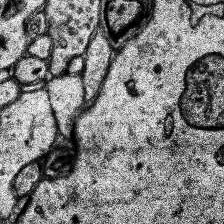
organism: Human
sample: Temporal Lobe